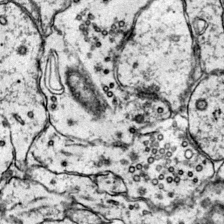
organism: Mouse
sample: Primary visual cortex